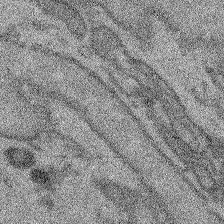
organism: Human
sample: HeLa cells